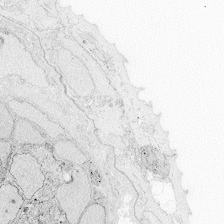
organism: Zebrafish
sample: Whole-Brain